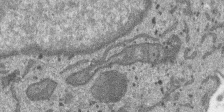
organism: Human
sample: Lung epithelial cells infected with SARS-CoV-2